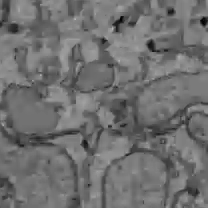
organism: C57BL Mouse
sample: Liver